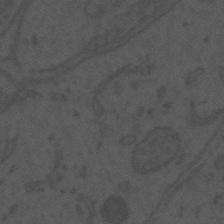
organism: Mouse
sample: Suprachiasmatic nucleus